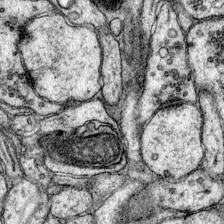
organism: Mouse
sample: Primary visual cortex